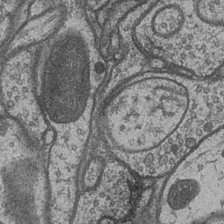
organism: Drosophila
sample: Optic medulla